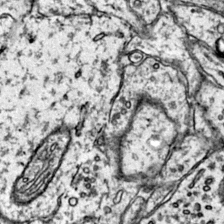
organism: Mouse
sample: Primary visual cortex